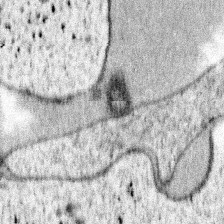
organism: Human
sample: HeLa cells